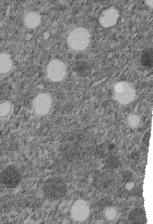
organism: C. elegans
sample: C. elegans embryo early stage